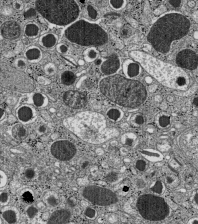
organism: C57BL Mouse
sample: Pancreatic islet